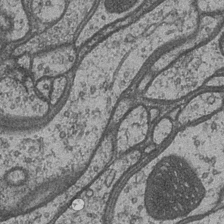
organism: Drosophila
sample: Optic medulla